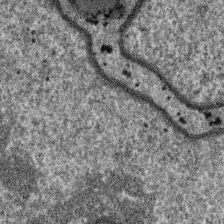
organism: Human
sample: Lung epithelial cells infected with SARS-CoV-2